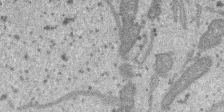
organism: Human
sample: Lung epithelial cells infected with SARS-CoV-2